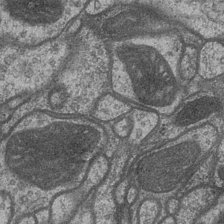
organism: Drosophila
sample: Optic medulla